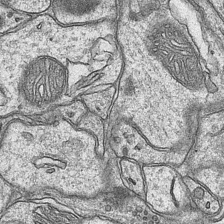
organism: Mouse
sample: CA1 Hippocampus